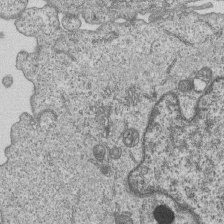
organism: Human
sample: MDA-MB-231 cells